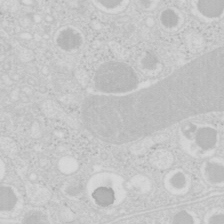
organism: Mouse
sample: Pancreas